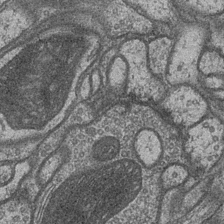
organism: Drosophila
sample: Optic medulla